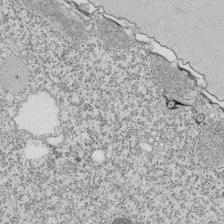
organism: Tetrahymena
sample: Cilia in tetrahymena